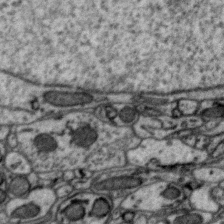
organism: Zebra finch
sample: Brain